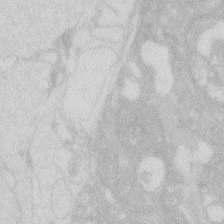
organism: Zebrafish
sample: Macrophage